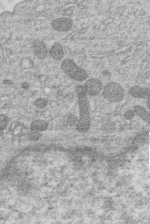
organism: Human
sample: Macrophage cells